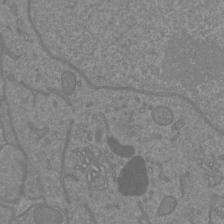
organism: Mouse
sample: Cortical neurons